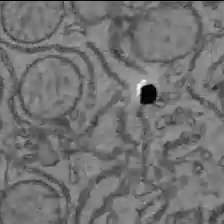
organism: C57BL Mouse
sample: Liver